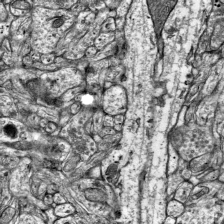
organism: Mouse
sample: Visual Cortex